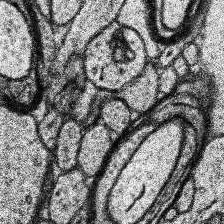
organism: Human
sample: Temporal Lobe